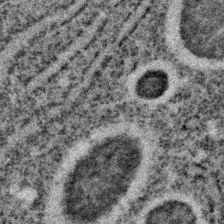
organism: C. elegans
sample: C. elegans embryo